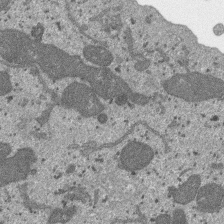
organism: Human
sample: Lung epithelial cells infected with SARS-CoV-2